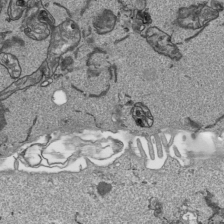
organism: Human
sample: Mitochondria in HCT116 cells